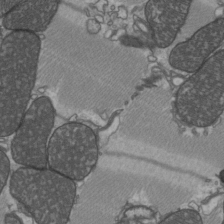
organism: C57BL Mouse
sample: Heart